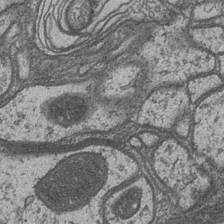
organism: Drosophila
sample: Optic medulla